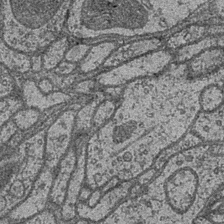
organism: Drosophila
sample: Optic medulla